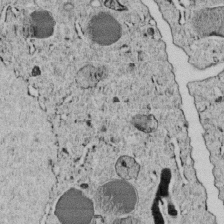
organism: C. elegans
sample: C. elegans embryo early stage